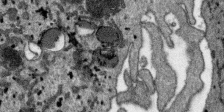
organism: Human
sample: Lung epithelial cells, uninfected (mock) control